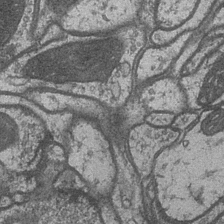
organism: Drosophila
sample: Optic medulla